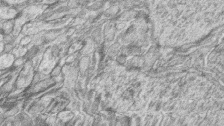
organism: Zebrafish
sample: synaptic ribbons in rod cells and cone cells